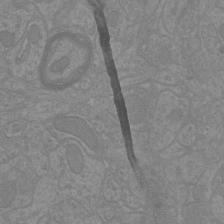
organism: Mouse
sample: Cortical neurons